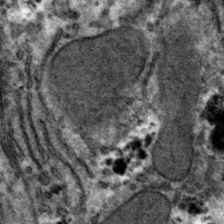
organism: Mouse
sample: Mouse hepatocytes